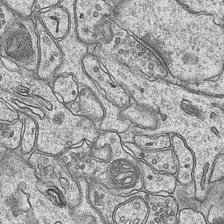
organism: Mouse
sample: CA1 Hippocampus